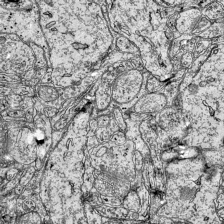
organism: Mouse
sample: Visual Cortex